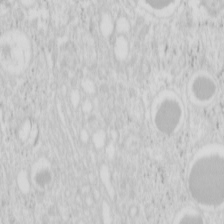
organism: Mouse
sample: Pancreas